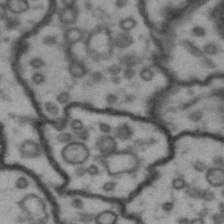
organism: Drosophila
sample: Brain